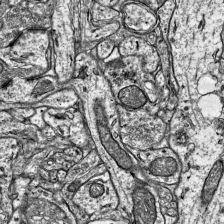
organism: Mouse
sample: Visual Cortex